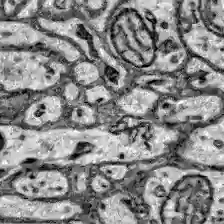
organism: Zebrafish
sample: Brain